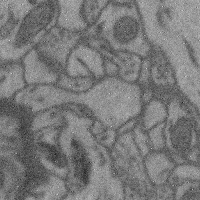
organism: Mouse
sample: Cerebral cortex